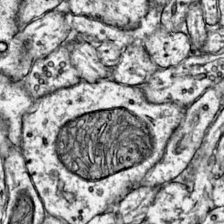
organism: Mouse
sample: Primary visual cortex